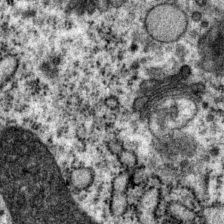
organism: P. pacificus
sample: Pharynx